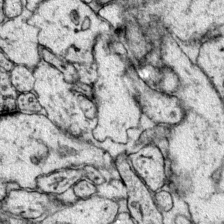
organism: Mouse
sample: Primary visual cortex